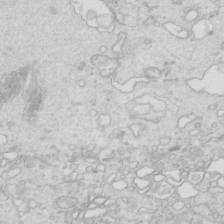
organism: Mouse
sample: Multiciliated cells